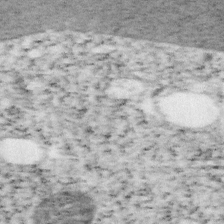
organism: Mouse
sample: OT-I killer T cells with ID8 ovarian cancer cells